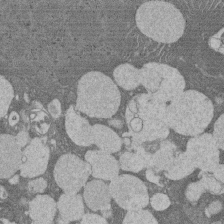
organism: Rat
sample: Salivary granule